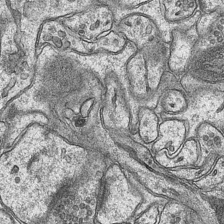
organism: Mouse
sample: CA1 Hippocampus